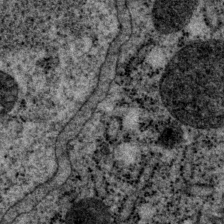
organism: P. pacificus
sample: Pharynx